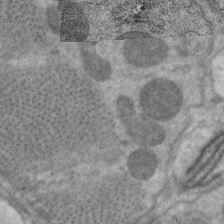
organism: C. elegans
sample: Pharynx